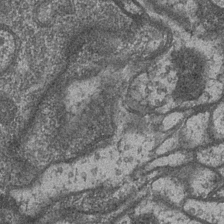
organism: Drosophila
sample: Optic medulla